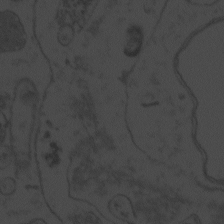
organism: Zebrafish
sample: Macrophage infected with Toxoplasma gondii